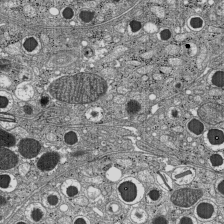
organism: C57BL Mouse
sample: Pancreatic islet